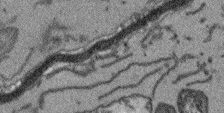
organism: Arabidopsis thaliana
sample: Root tip